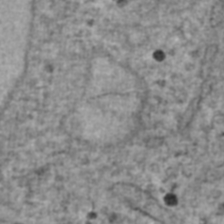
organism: Human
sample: Blood